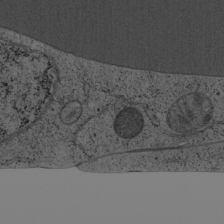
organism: African green monkey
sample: COS-7 cells